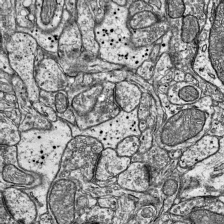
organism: Mouse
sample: Visual Cortex